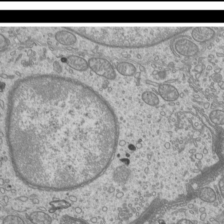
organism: Mouse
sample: Cilia; mouse epididymis